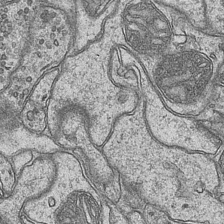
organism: Mouse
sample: CA1 Hippocampus